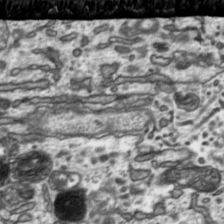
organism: Toxoplasma gondii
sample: Parasites in a vacuole inside a host cell